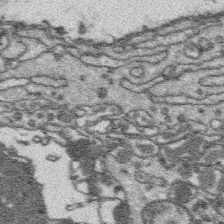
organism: Platynereis dumerilii